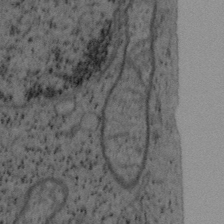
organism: Human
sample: HeLa cells